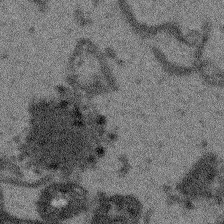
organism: Arabidopsis thaliana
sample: Root tip